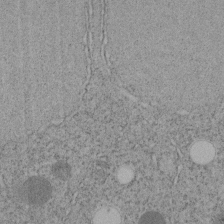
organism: C. elegans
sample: C. elegans embryo early stage